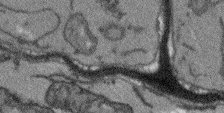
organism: Arabidopsis thaliana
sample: Root tip